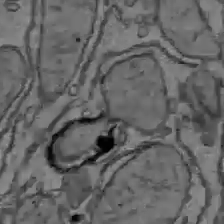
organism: C57BL Mouse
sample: Liver